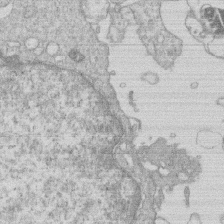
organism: Human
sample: Macrophage cells